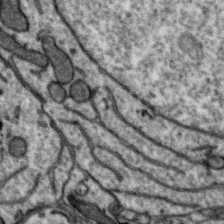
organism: Zebra finch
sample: Brain